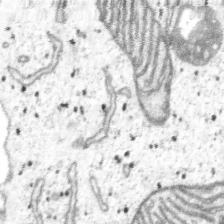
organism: Human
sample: HeLa cells